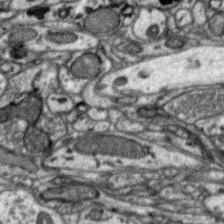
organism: Zebra finch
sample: Brain